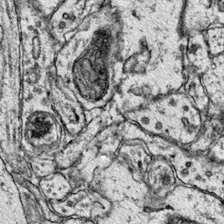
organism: Mouse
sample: Primary visual cortex